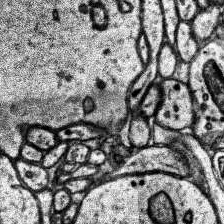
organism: Human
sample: Temporal Lobe